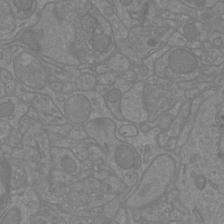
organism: Mouse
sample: Cortical neurons